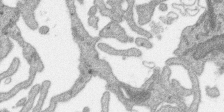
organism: Human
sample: Lung epithelial cells infected with SARS-CoV-2